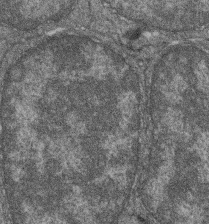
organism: Zebrafish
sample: Cilia; retinal pigment epithelium